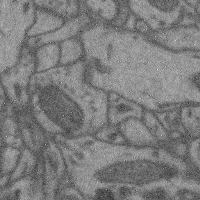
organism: Mouse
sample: Cerebral cortex